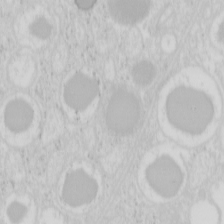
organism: Mouse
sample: Pancreas